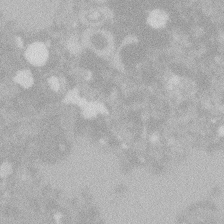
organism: Zebrafish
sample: Macrophage